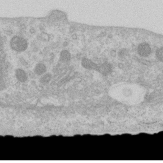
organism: Human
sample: Centriole in RPE cells